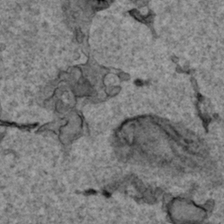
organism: Human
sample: Mitochondria in HCT116 cells